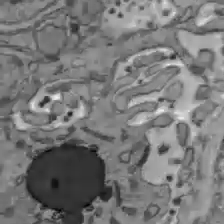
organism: C57BL Mouse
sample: Liver